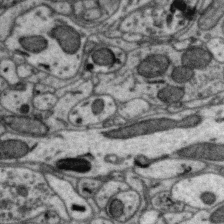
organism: Zebra finch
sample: Brain